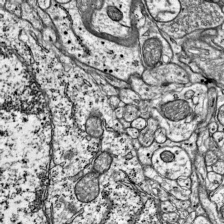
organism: Mouse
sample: Visual Cortex